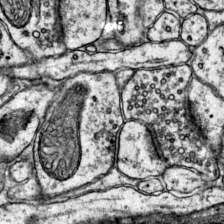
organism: Mouse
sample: Primary visual cortex